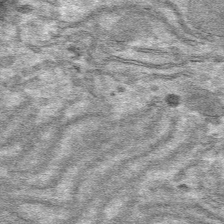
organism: Mouse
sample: Mouse hepatocytes